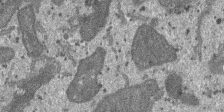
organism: Human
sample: Lung epithelial cells infected with SARS-CoV-2